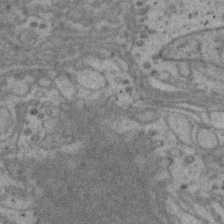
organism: Human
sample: HeLa cells